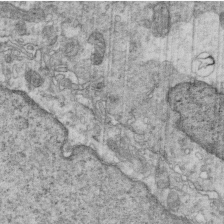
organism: Mouse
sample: Multiciliated cells